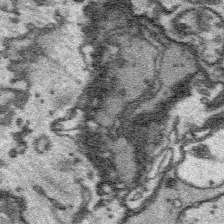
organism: Platynereis dumerilii